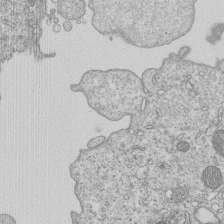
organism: Human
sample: MDA-MB-231 cells